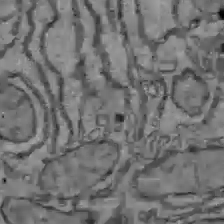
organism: C57BL Mouse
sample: Liver